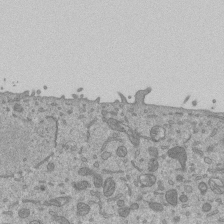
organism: Mouse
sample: ED-1 cell nuclei; centrioles